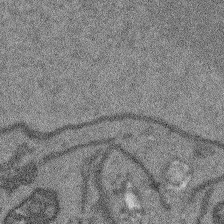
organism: Arabidopsis thaliana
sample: Root tip